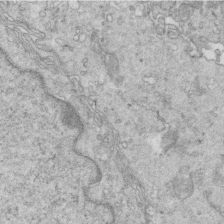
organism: Mouse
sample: Multiciliated cells